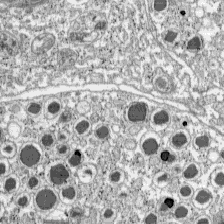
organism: C57BL Mouse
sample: Pancreatic islet